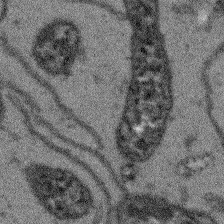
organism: Arabidopsis thaliana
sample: Root tip